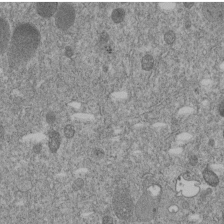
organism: C. elegans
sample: C. elegans embryo early stage